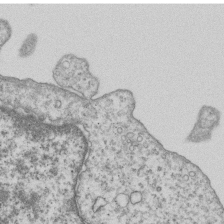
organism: Human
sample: MDA-MB-231 cells